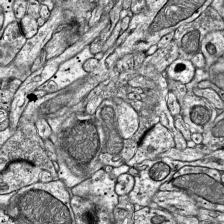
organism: Mouse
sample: Visual Cortex